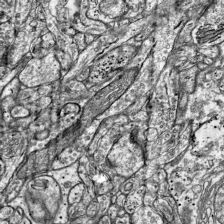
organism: Mouse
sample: Visual Cortex